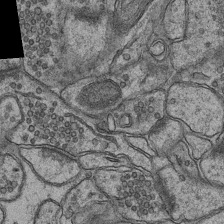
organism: Mouse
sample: CA1 Hippocampus